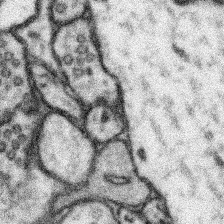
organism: Mouse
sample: Somatosensory cortex neuropil